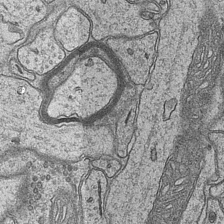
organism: Mouse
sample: CA1 Hippocampus